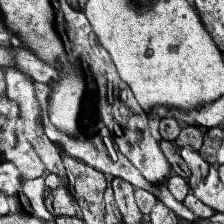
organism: Human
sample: Temporal Lobe